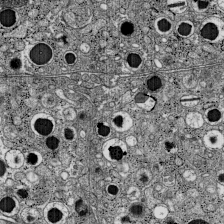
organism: C57BL Mouse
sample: Pancreatic islet